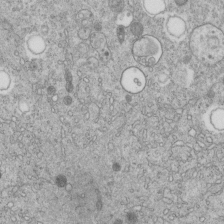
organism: C. elegans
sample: C. elegans embryo early stage